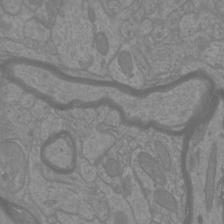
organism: Mouse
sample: Cortical neurons